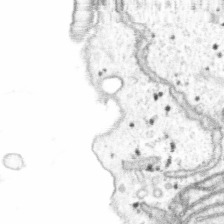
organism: Human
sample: HeLa cells